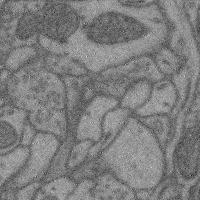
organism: Mouse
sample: Cerebral cortex